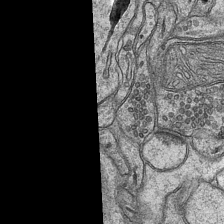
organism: Mouse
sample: CA1 Hippocampus